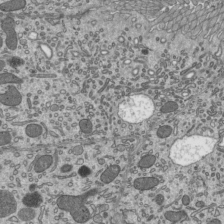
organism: Mouse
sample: Mouse epididymis efferent ductule cilia